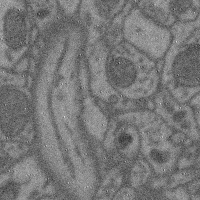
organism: Mouse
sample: Cerebral cortex